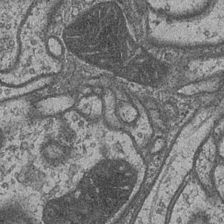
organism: Drosophila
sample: Optic medulla